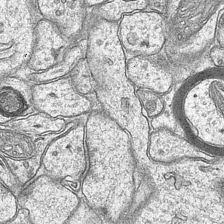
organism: Mouse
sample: CA1 Hippocampus